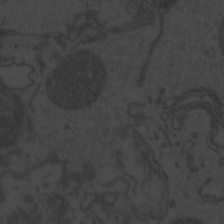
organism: Zebrafish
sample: Macrophage infected with Toxoplasma gondii